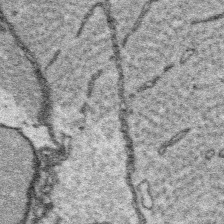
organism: Platynereis dumerilii